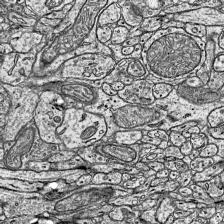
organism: Mouse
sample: Visual Cortex